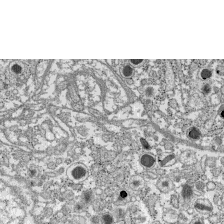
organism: C57BL Mouse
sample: Pancreatic islet